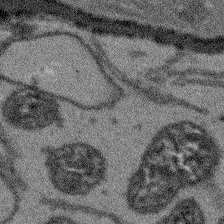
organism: Arabidopsis thaliana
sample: Root tip